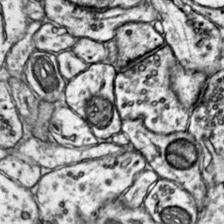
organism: Mouse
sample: Primary visual cortex